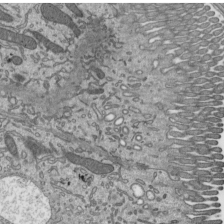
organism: Mouse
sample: Mouse epididymis efferent ductule cilia